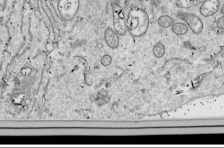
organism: Drosophila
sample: Cell division; meiosis; drosophila spermatocytes